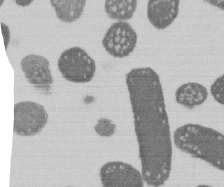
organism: E. coli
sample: Bacterial nucleoid